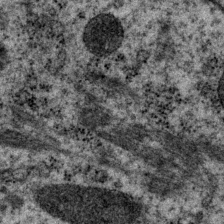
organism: P. pacificus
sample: Pharynx